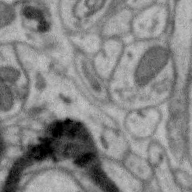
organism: Zebra finch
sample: Brain